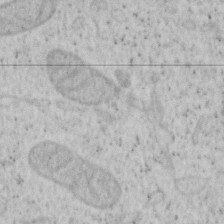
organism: Human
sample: HeLa cells